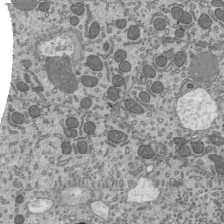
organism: Mouse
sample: Mouse epididymis efferent ductule cilia